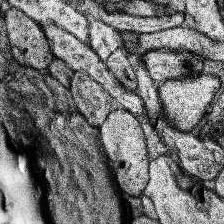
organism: Human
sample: Temporal Lobe